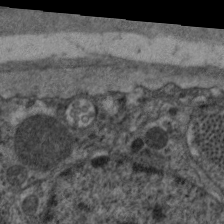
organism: C. elegans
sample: Pharynx